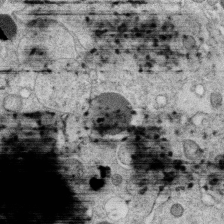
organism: C. elegans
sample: C. elegans oocyte; sperm cells